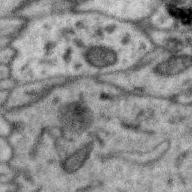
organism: Zebra finch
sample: Brain